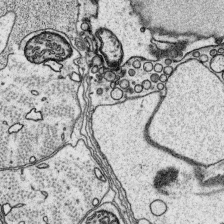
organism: Platynereis dumerilii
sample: Parapodia